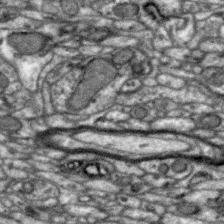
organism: Zebra finch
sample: Brain